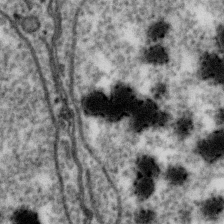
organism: Zebra finch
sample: Brain